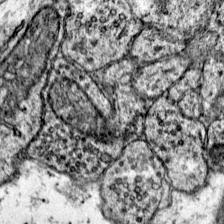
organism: Mouse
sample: Primary visual cortex